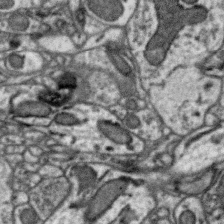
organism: Zebra finch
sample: Brain